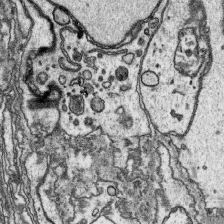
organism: Platynereis dumerilii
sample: Parapodia